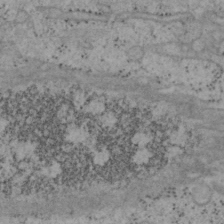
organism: Human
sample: HeLa cells